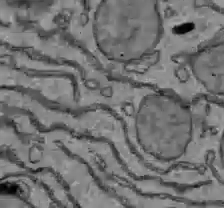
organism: C57BL Mouse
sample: Liver